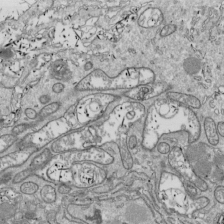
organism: Drosophila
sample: Cell division; meiosis; drosophila spermatocytes